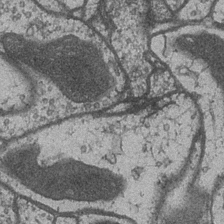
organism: Drosophila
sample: Optic medulla